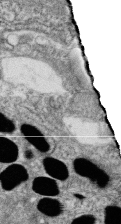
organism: Zebrafish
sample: Cilia; retinal pigment epithelium